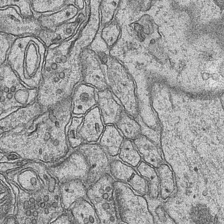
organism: Mouse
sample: CA1 Hippocampus